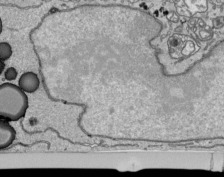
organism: Human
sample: Mitochondria in HCT116 cells